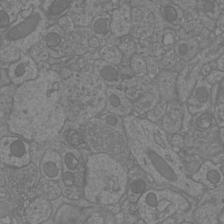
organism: Mouse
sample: Cortical neurons